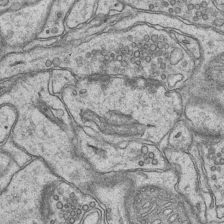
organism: Mouse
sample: CA1 Hippocampus